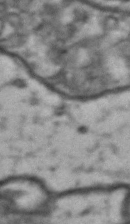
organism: Drosophila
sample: Brain